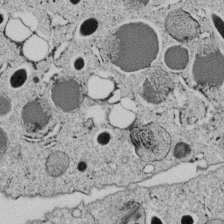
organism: C. elegans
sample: C. elegans embryo early stage